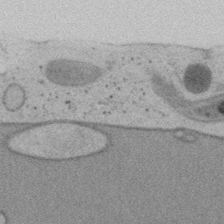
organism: Human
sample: HeLa cells